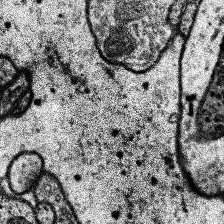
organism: Human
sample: Temporal Lobe